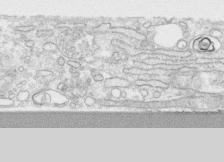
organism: Human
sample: CRL-1474